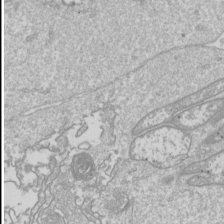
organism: Drosophila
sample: Cell division; meiosis; drosophila spermatocytes